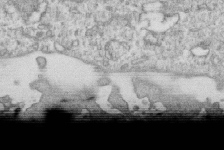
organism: Mouse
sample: Activated OT-1 CD8+ T cells